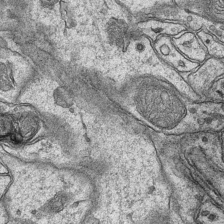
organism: Mouse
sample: CA1 Hippocampus